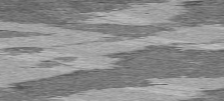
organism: C57BL Mouse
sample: Heart